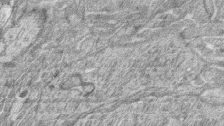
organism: Zebrafish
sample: synaptic ribbons in rod cells and cone cells